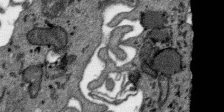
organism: Human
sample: Lung epithelial cells, uninfected (mock) control